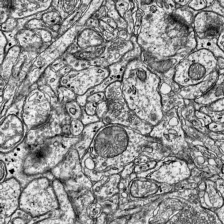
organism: Mouse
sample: Visual Cortex